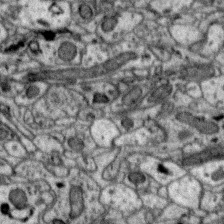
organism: Zebra finch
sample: Brain